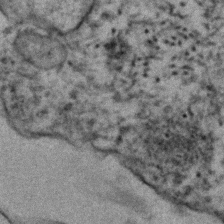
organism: Human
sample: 1205lu cells